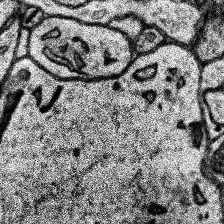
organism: Human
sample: Temporal Lobe